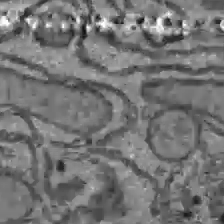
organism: C57BL Mouse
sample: Liver